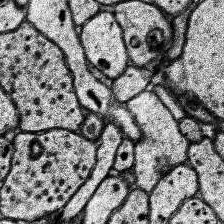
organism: Human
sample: Temporal Lobe